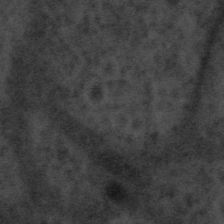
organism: Tuwongella immobilis